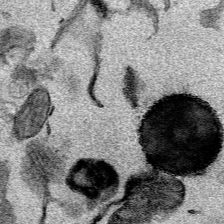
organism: Mouse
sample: Cancer cell death in ED-1 cells